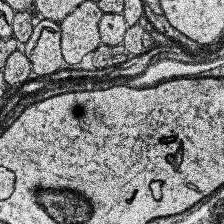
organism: Human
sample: Temporal Lobe